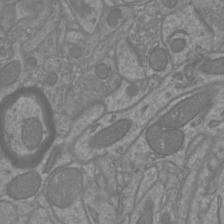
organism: Mouse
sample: Cortical neurons